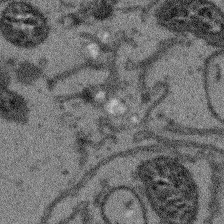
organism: Arabidopsis thaliana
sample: Root tip